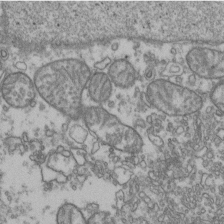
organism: Human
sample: Activated Jurkat CD4+ T cells